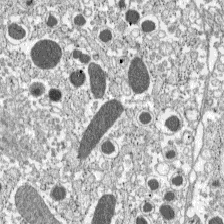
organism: C57BL Mouse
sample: Pancreatic islet